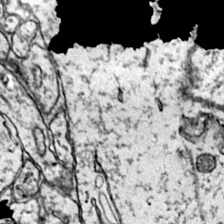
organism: Mouse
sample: Primary visual cortex